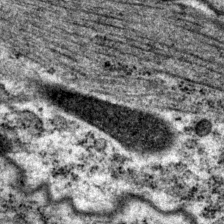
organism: P. pacificus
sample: Pharynx